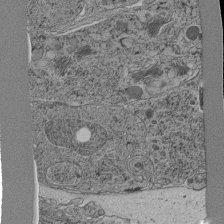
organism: C. elegans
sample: C. elegans pharynx